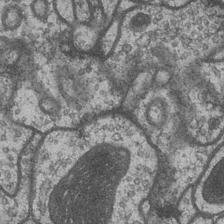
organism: Drosophila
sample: Optic medulla